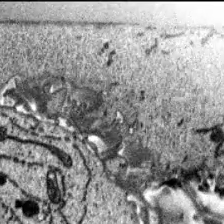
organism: Human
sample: HeLa cells